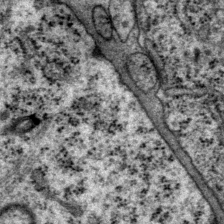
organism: P. pacificus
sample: Pharynx